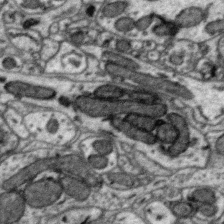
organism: Zebra finch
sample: Brain